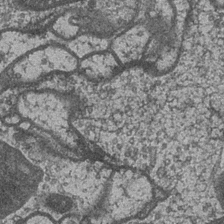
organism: Drosophila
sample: Optic medulla